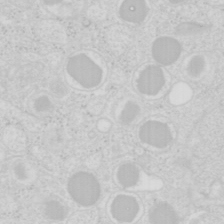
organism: Mouse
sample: Pancreas